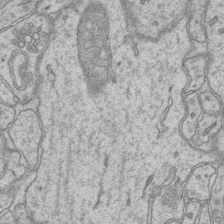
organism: Mouse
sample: CA1 Hippocampus